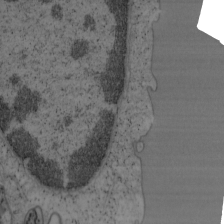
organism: Mouse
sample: OT-I killer T cells with ID8 ovarian cancer cells